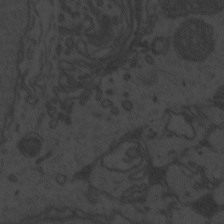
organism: Zebrafish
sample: Macrophage infected with Toxoplasma gondii